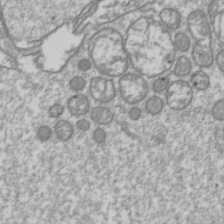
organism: Drosophila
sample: Cell division; meiosis; drosophila spermatocytes